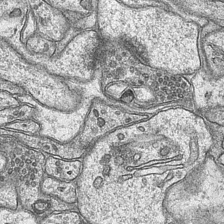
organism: Mouse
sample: CA1 Hippocampus